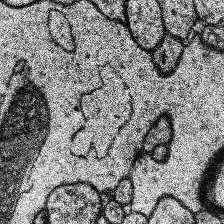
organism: Human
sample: Temporal Lobe